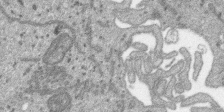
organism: Human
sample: Lung epithelial cells infected with SARS-CoV-2